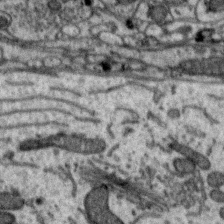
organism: Zebra finch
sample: Brain